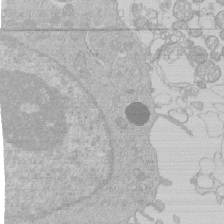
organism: Human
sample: Macrophage cells